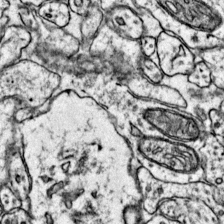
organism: Mouse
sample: Primary visual cortex